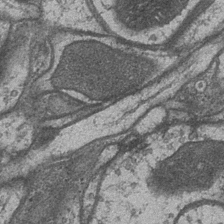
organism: Drosophila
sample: Optic medulla